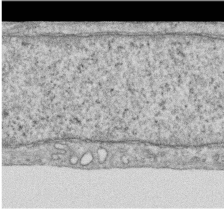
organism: Human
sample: Centriole in RPE cells